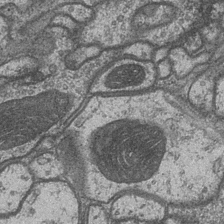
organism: Drosophila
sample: Optic medulla